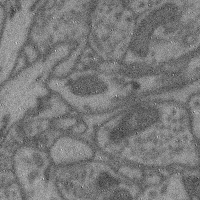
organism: Mouse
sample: Cerebral cortex